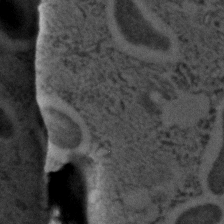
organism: C. elegans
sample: C. elegans embryo